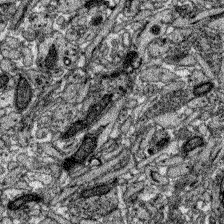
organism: Zebrafish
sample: Larval olfactory bulb